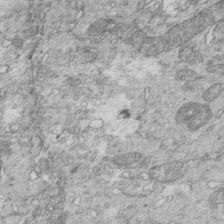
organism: Mouse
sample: Multiciliated cells